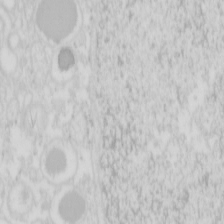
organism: Mouse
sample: Pancreas